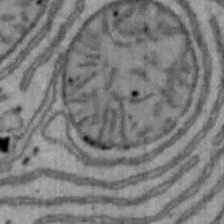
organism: Mouse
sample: Liver